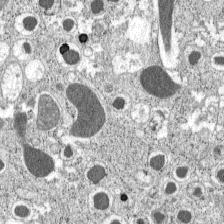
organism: C57BL Mouse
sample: Pancreatic islet